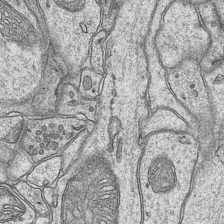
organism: Mouse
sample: CA1 Hippocampus